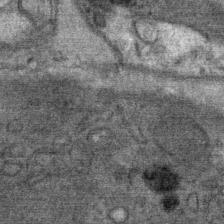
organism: Mouse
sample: Mouse Salivary gland